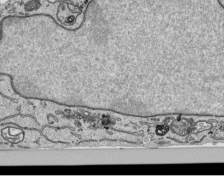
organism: Human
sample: Mitochondria in HCT116 cells